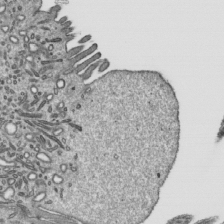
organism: Mouse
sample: Mouse epididymis efferent ductule cilia